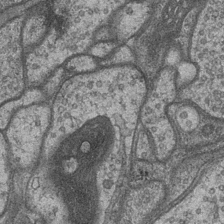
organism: Drosophila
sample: Optic medulla